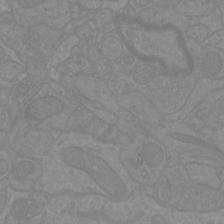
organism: Mouse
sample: Cortical neurons